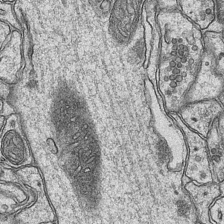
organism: Mouse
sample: CA1 Hippocampus